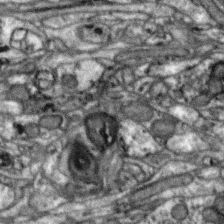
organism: Zebra finch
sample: Brain